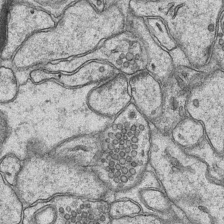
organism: Mouse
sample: CA1 Hippocampus